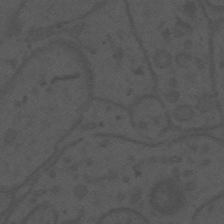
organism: Mouse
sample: Suprachiasmatic nucleus